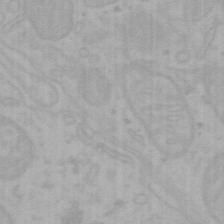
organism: Mouse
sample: Choroid plexus